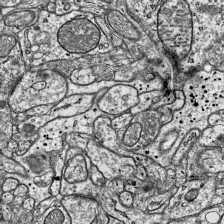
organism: Mouse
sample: Visual Cortex